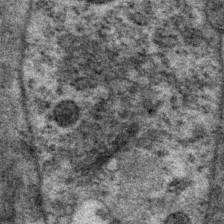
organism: P. pacificus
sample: Pharynx